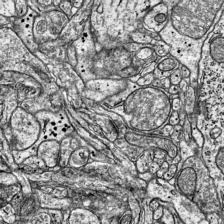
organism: Mouse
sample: Visual Cortex